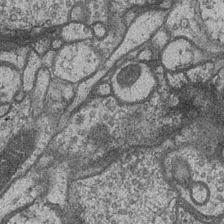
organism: Drosophila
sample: Optic medulla